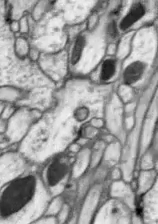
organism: Drosophila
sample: Optic lobe